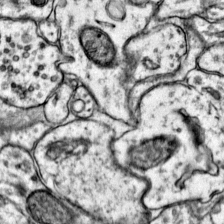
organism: Mouse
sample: Primary visual cortex